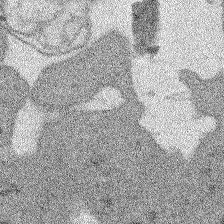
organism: Human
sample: HeLa cells